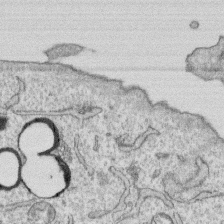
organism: Human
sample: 1205lu cells